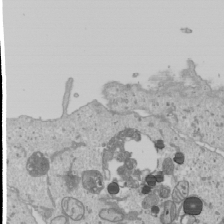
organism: Human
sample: Mitochondria in U2OS cells